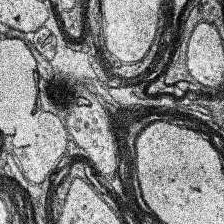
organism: Human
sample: Temporal Lobe